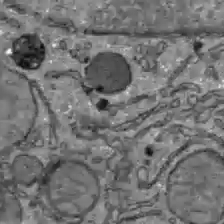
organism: C57BL Mouse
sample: Liver